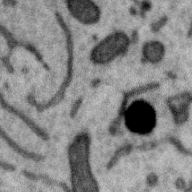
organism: Zebra finch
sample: Brain